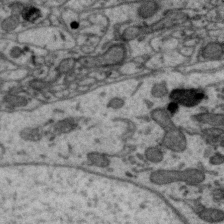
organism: Zebra finch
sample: Brain